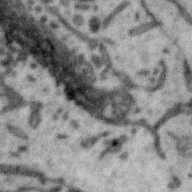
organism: Zebra finch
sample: Brain